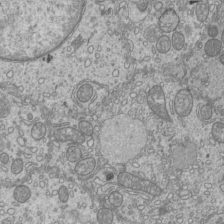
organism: Mouse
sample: Cilia; mouse epididymis